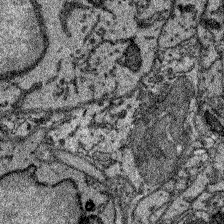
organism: Zebrafish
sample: Larval olfactory bulb